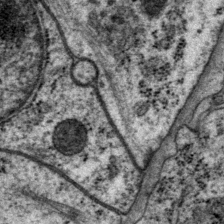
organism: P. pacificus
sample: Pharynx